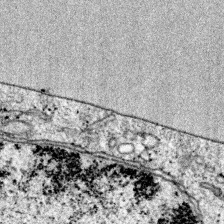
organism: Human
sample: HeLa cells